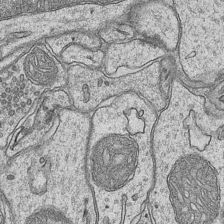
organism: Mouse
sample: CA1 Hippocampus